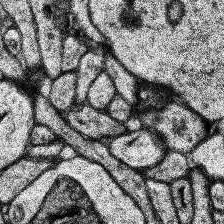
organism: Human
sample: Temporal Lobe